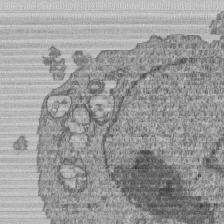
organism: Human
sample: MDA-MB-231 cells